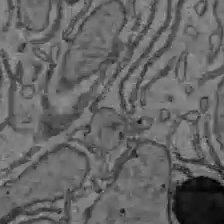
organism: C57BL Mouse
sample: Liver